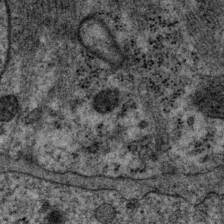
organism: P. pacificus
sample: Pharynx